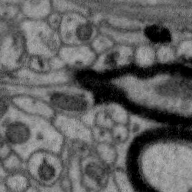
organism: Zebra finch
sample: Brain